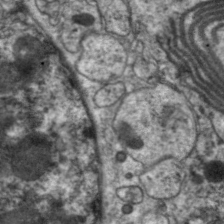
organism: C. elegans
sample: Pharynx